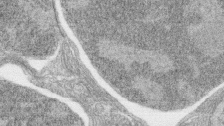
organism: Zebrafish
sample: synaptic ribbons in rod cells and cone cells